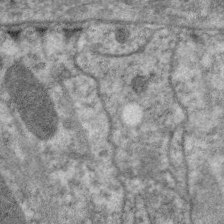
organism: C. elegans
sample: Pharynx